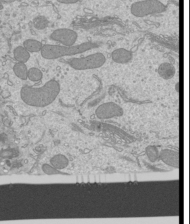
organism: Mouse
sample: Cilia; mouse epididymis